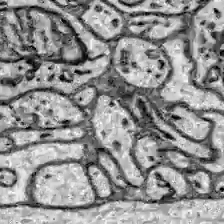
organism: Zebrafish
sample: Brain